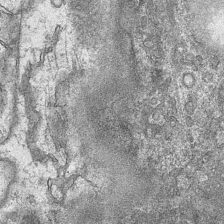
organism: Mouse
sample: CA1 Hippocampus